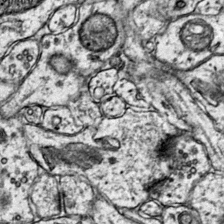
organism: Mouse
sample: Primary visual cortex